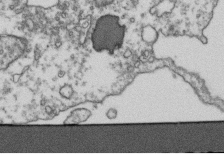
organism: Human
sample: Activated Jurkat CD4+ T cells